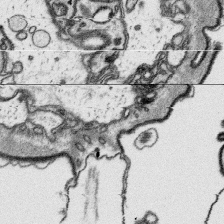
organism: Platynereis dumerilii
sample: Parapodia